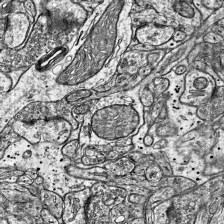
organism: Mouse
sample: Visual Cortex